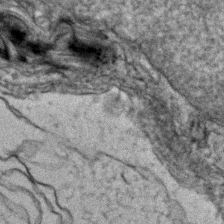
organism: Zebrafish